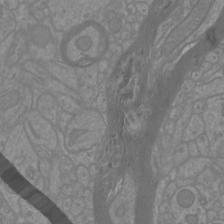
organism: Mouse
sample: Cortical neurons